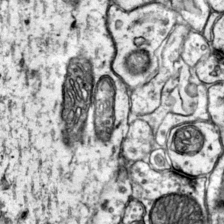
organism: Mouse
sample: Primary visual cortex